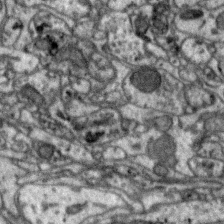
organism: Zebra finch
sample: Brain